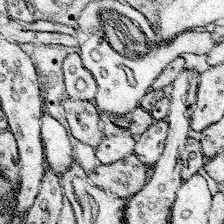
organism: Mouse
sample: Somatosensory cortex neuropil